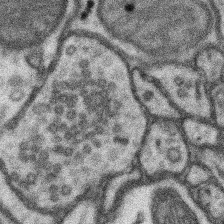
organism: Mouse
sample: Somatosensory cortex neuropil